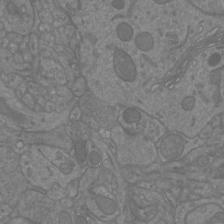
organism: Mouse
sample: Cortical neurons